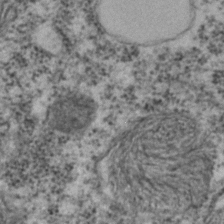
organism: C. elegans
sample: C. elegans embryo